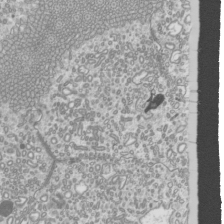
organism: Mouse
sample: Cilia; mouse epididymis